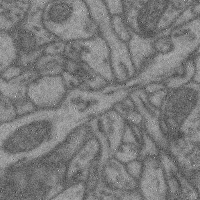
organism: Mouse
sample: Cerebral cortex